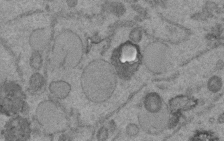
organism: C. elegans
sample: C. elegans embryo early stage